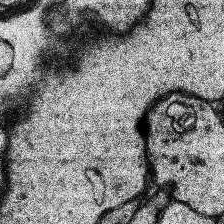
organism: Human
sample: Temporal Lobe